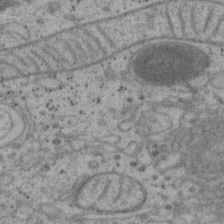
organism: Human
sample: HeLa cells